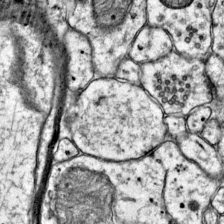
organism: Mouse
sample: Primary visual cortex